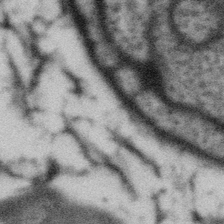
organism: Gemmata obscuriglobus